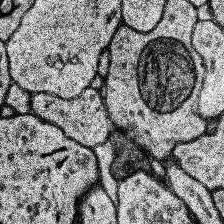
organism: Human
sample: Temporal Lobe